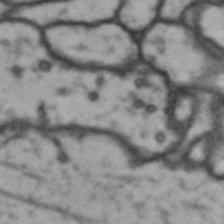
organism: Drosophila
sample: Brain